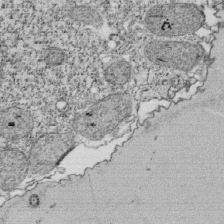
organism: Tetrahymena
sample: Cilia in tetrahymena